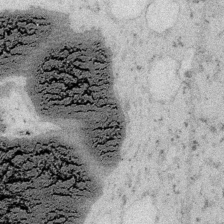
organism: Embia sp.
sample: Silk gland